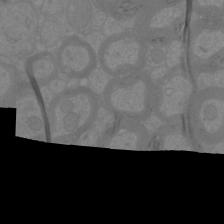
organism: Mouse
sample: Cortical neurons